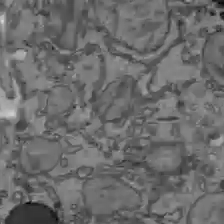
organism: C57BL Mouse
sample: Liver